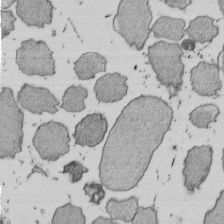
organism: E. coli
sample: Bacterial nucleoid